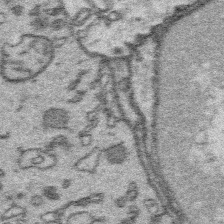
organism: Platynereis dumerilii